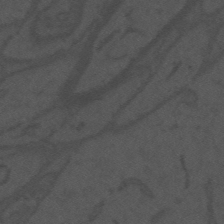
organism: Mouse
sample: Suprachiasmatic nucleus